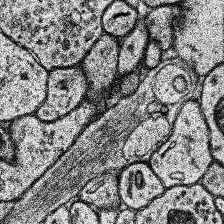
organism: Human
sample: Temporal Lobe